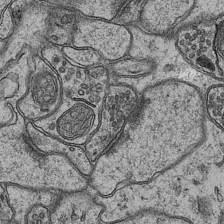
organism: Mouse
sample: CA1 Hippocampus